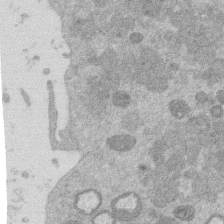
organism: Mouse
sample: Dividing mouse embryo 1 cell stage